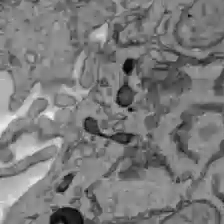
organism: C57BL Mouse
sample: Liver